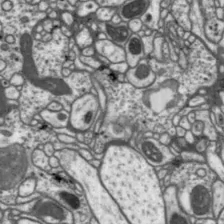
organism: Drosophila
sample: Protocerebral bridge